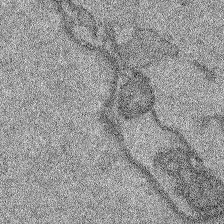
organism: Human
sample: HeLa cells